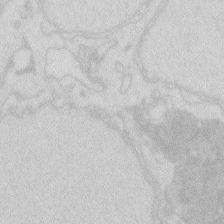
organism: Zebrafish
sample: Macrophage